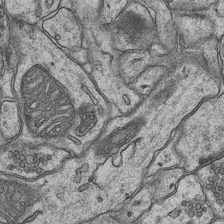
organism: Mouse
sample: CA1 Hippocampus